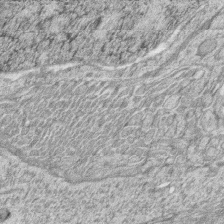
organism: Zebrafish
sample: synaptic ribbons in rod cells and cone cells